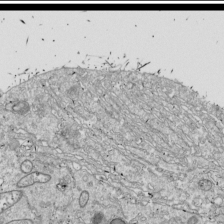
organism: Drosophila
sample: Cell division; meiosis; drosophila spermatocytes